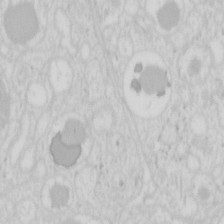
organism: Mouse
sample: Pancreas